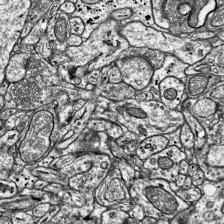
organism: Mouse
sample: Visual Cortex